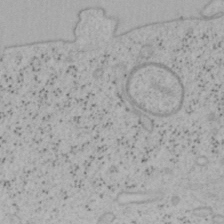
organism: Human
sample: HeLa cells